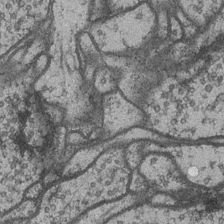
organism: Drosophila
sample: Optic medulla